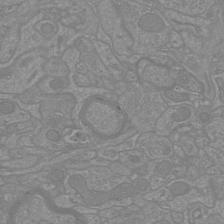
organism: Mouse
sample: Cortical neurons